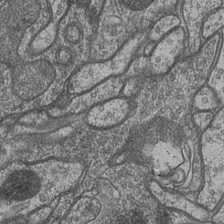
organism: Drosophila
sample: Optic medulla